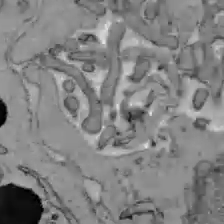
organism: C57BL Mouse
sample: Liver